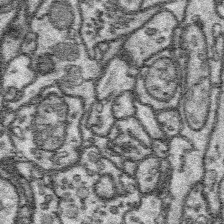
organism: Platynereis dumerilii